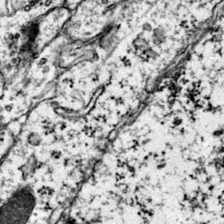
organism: Mouse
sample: Primary visual cortex